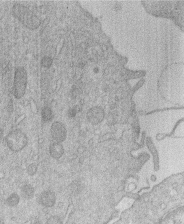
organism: Human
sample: Macrophage cells